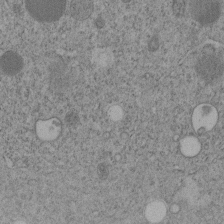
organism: C. elegans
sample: C. elegans embryo early stage